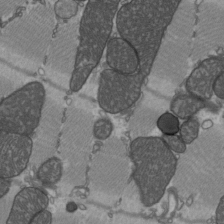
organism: C57BL Mouse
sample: Heart